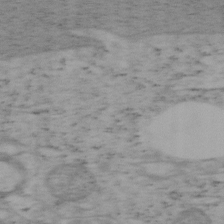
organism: Mouse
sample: OT-I killer T cells with ID8 ovarian cancer cells